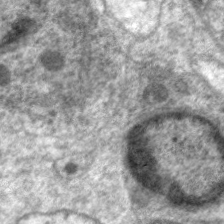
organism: C. elegans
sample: Pharynx